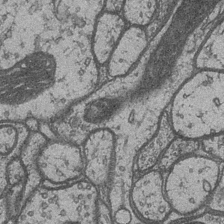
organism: Drosophila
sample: Optic medulla